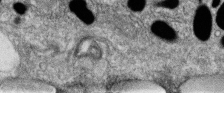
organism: Zebrafish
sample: Cilia; retinal pigment epithelium